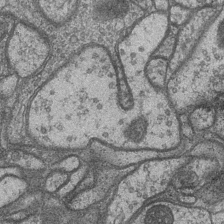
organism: Drosophila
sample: Optic medulla